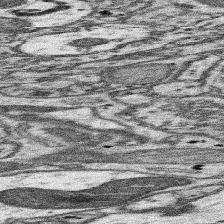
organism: Mouse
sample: Somatosensory cortex neuropil